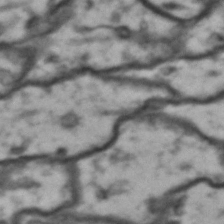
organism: Drosophila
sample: Brain